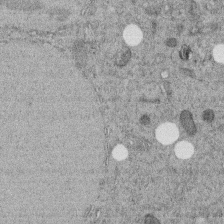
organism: C. elegans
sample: C. elegans embryo early stage